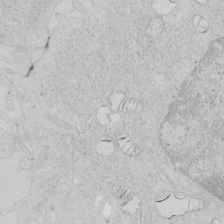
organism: Human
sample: Mitochondria in HCT116 cells